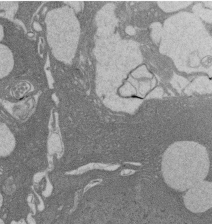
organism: Rat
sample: Salivary granule